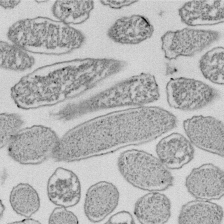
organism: E. coli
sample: Bacterial nucleoid